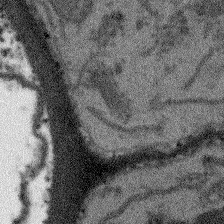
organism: Arabidopsis thaliana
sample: Root tip